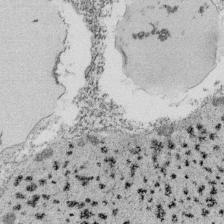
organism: Tetrahymena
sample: Cilia in tetrahymena